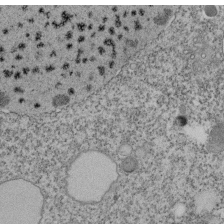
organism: Tetrahymena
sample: Cilia in tetrahymena